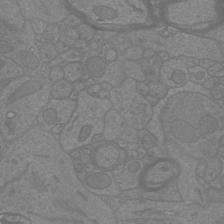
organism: Mouse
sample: Cortical neurons